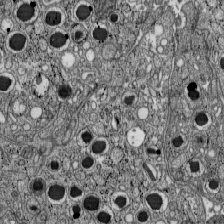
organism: C57BL Mouse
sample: Pancreatic islet